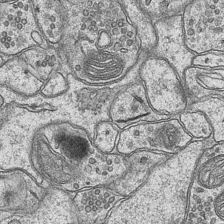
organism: Mouse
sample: CA1 Hippocampus